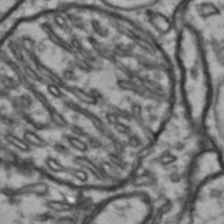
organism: Drosophila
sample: Brain